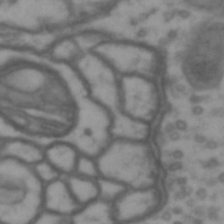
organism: Drosophila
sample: Brain